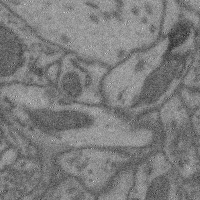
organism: Mouse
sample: Cerebral cortex